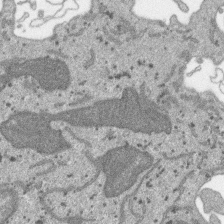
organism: Human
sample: Lung epithelial cells infected with SARS-CoV-2